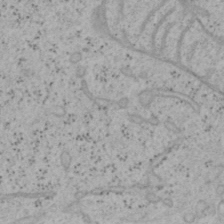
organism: Human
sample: HeLa cells